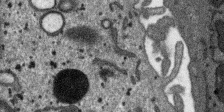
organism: Human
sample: Lung epithelial cells infected with SARS-CoV-2